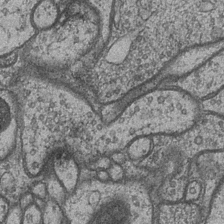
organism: Drosophila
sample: Optic medulla